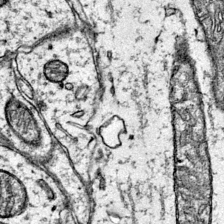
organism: Mouse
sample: Primary visual cortex